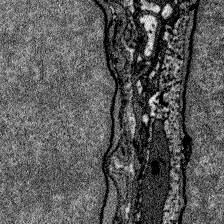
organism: Zebrafish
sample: Larval olfactory bulb